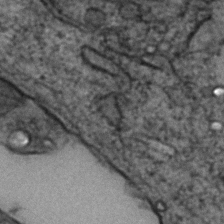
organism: Zebrafish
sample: Zebrafish embryo